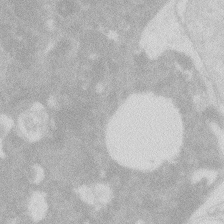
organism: Zebrafish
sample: Macrophage